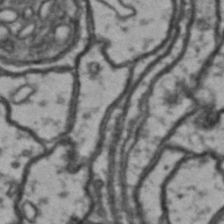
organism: Drosophila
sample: Brain